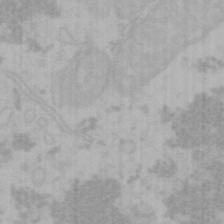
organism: Mouse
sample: Choroid plexus